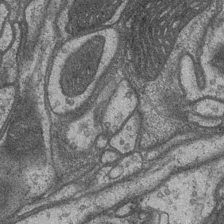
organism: Drosophila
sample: Optic medulla